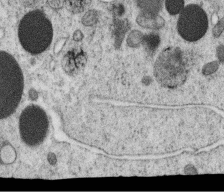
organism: C. elegans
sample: C. elegans oocyte; sperm cells